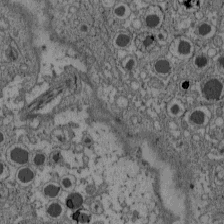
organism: C57BL Mouse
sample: Pancreatic islet